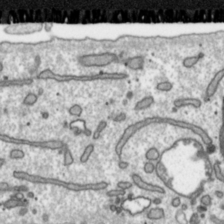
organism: Toxoplasma gondii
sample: Parasites in a vacuole inside a host cell